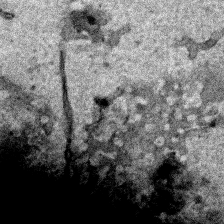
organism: Human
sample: Mitochondria in HCT116 cells